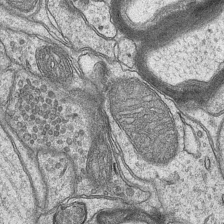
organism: Mouse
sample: CA1 Hippocampus